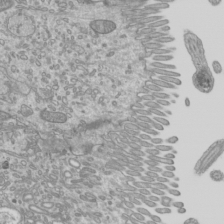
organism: Mouse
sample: Cilia; mouse epididymis